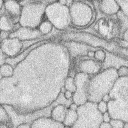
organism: Rabbit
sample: Retina